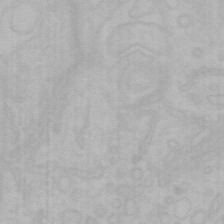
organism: Mouse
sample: Choroid plexus